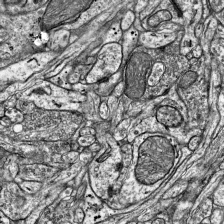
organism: Mouse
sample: Visual Cortex